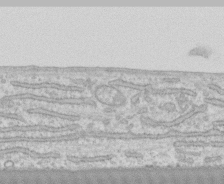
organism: Human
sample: CRL-1474